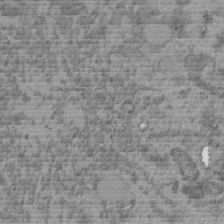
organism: C. elegans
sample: C. elegans embryo early stage